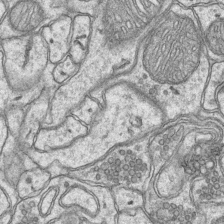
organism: Mouse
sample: CA1 Hippocampus